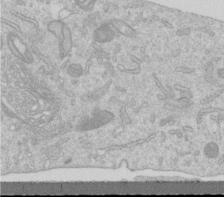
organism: Human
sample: Centriole in RPE cells